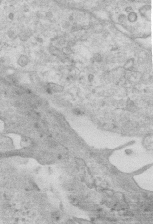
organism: Mouse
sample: Centriole in ependymal cells